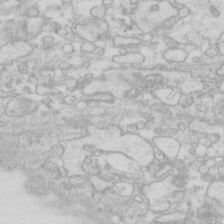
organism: Human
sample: Fibroblast cells